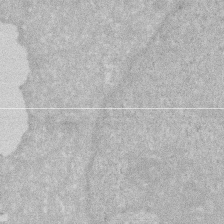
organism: Human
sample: HIV infected U937 cells